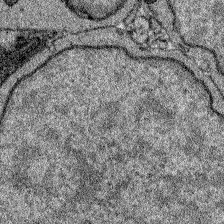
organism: Zebrafish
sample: Larval olfactory bulb